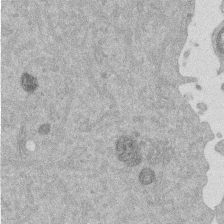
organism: Mouse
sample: Dividing mouse embryo 1 cell stage